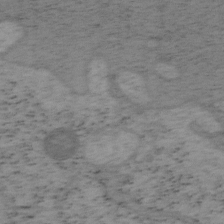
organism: Mouse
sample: OT-I killer T cells with ID8 ovarian cancer cells